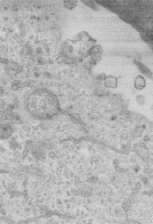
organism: Mouse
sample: Centriole in ependymal cells